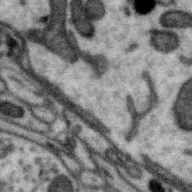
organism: Zebra finch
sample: Brain